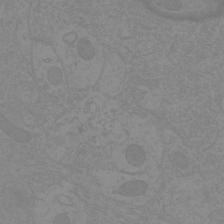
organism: Mouse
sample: Cortical neurons